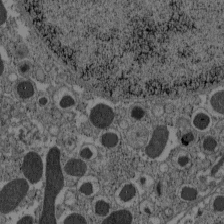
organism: C57BL Mouse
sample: Pancreatic islet